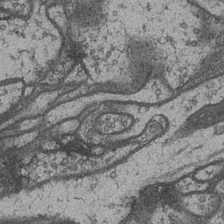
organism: Drosophila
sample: Optic medulla